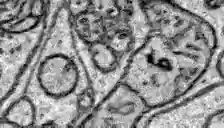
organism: Zebrafish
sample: Brain